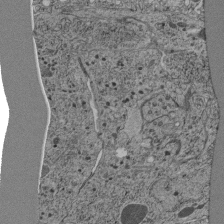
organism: C. elegans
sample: C. elegans pharynx